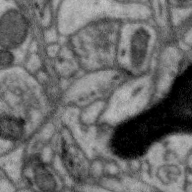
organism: Zebra finch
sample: Brain